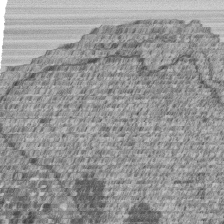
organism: Human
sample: MDA-MB-231 cells